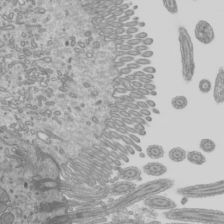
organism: Mouse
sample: Cilia; mouse epididymis